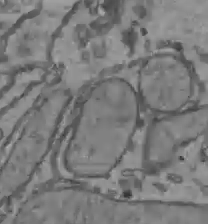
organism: C57BL Mouse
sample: Liver